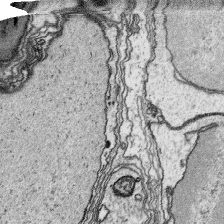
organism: Platynereis dumerilii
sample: Parapodia